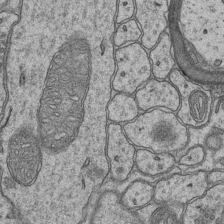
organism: Mouse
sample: CA1 Hippocampus